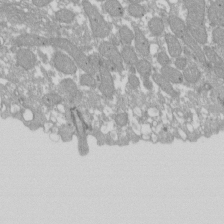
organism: Xenopus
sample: Cilia; centrioles in frog embryo cells